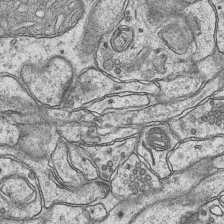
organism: Mouse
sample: CA1 Hippocampus